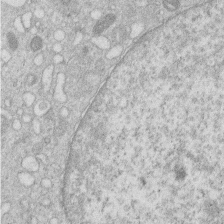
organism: Human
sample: Macrophage cells